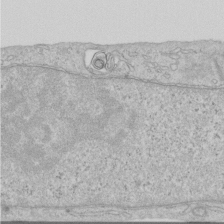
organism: Human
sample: Centriole in RPE cells